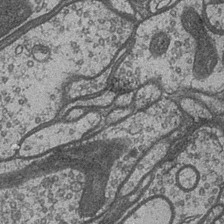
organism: Drosophila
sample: Optic medulla